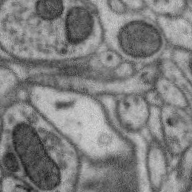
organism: Zebra finch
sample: Brain